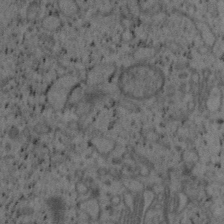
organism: Human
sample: HeLa cells